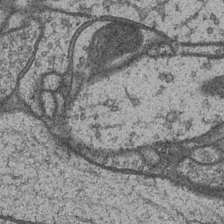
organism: Drosophila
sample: Optic medulla